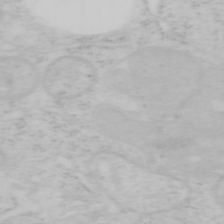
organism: Mouse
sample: OT-I killer T cells with ID8 ovarian cancer cells